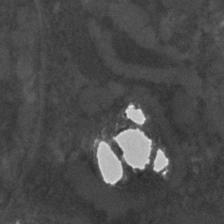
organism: C. elegans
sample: C. elegans embryo